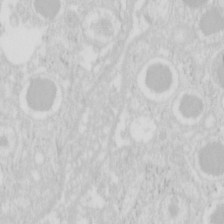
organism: Mouse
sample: Pancreas